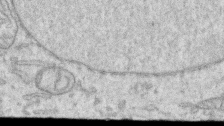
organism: Human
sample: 1205lu cells